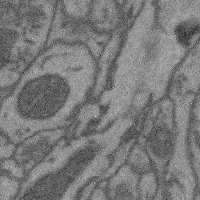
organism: Mouse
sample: Cerebral cortex